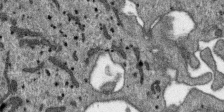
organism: Human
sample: Lung epithelial cells, uninfected (mock) control